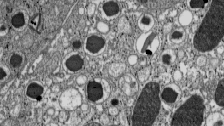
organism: C57BL Mouse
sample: Pancreatic islet